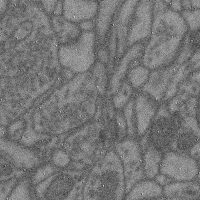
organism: Mouse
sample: Cerebral cortex